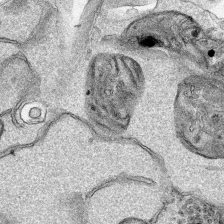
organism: Human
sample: Mitochondria in HCT116 cells